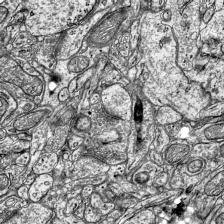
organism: Mouse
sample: Visual Cortex